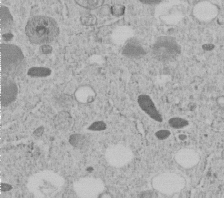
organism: C. elegans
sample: C. elegans embryo early stage